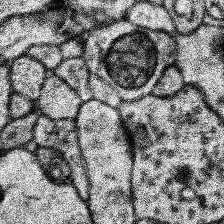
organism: Human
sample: Temporal Lobe